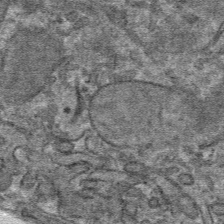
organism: Mouse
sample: Mouse hepatocytes